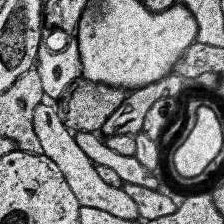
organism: Human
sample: Temporal Lobe